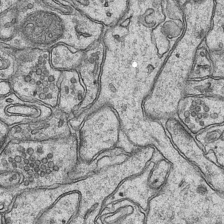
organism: Mouse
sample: CA1 Hippocampus